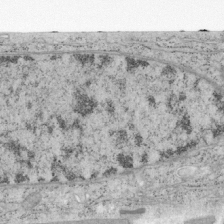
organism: Human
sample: HeLa cells